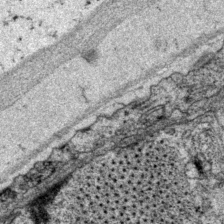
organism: P. pacificus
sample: Pharynx